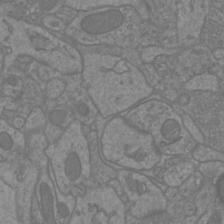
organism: Mouse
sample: Cortical neurons